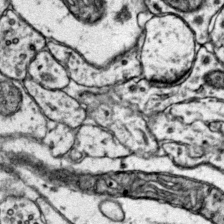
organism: Mouse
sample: Primary visual cortex